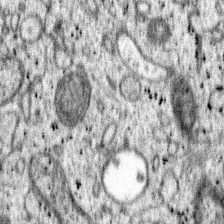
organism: Human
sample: HeLa cells